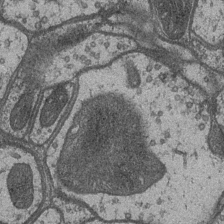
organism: Drosophila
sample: Optic medulla